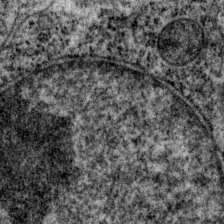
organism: P. pacificus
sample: Pharynx